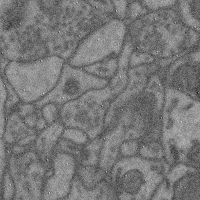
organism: Mouse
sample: Cerebral cortex